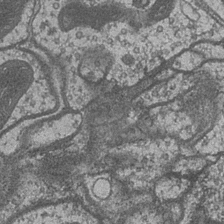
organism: Drosophila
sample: Optic medulla